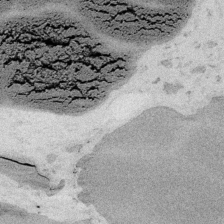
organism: Embia sp.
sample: Silk gland